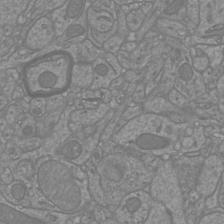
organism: Mouse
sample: Cortical neurons